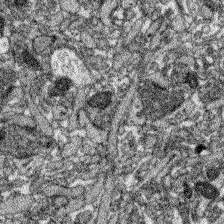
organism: Zebrafish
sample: Larval olfactory bulb